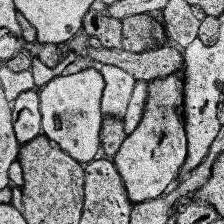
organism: Human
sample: Temporal Lobe